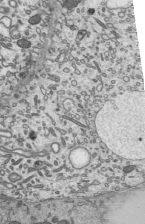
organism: Mouse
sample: Mouse epididymis efferent ductule cilia